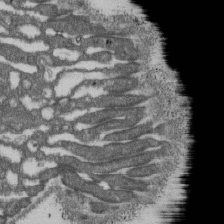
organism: Drosophila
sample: Nephrocyte